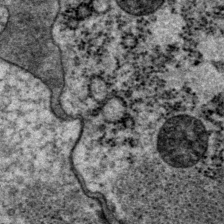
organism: P. pacificus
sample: Pharynx